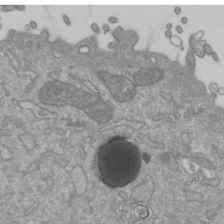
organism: Mouse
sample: ED-1 cell nuclei; centrioles